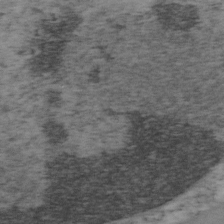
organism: Mouse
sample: OT-I killer T cells with ID8 ovarian cancer cells